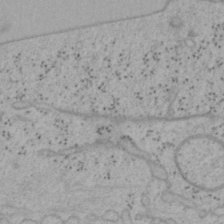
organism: Human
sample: HeLa cells